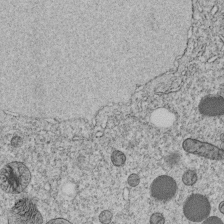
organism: C. elegans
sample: C. elegans embryo early stage